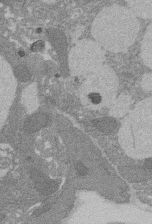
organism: Rat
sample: Salivary granule